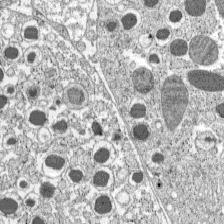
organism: C57BL Mouse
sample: Pancreatic islet